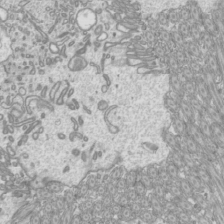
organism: Mouse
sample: Cilia; mouse epididymis